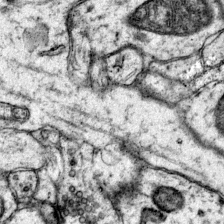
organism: Mouse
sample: Primary visual cortex